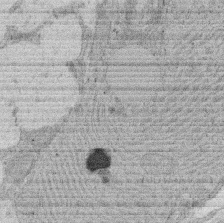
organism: Rat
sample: Salivary granule